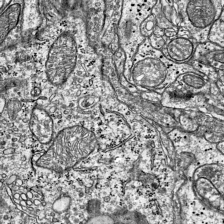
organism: Mouse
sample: Visual Cortex